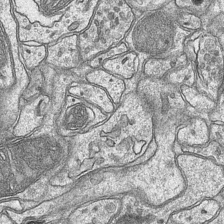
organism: Mouse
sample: CA1 Hippocampus